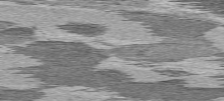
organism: C57BL Mouse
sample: Heart